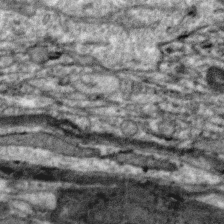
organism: Zebra finch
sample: Brain